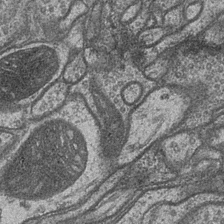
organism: Drosophila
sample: Optic medulla